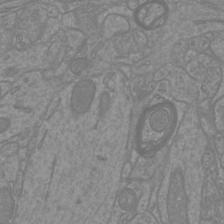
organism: Mouse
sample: Cortical neurons